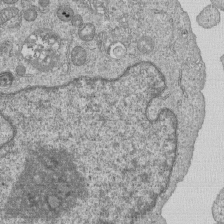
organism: Human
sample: MDA-MB-231 cells